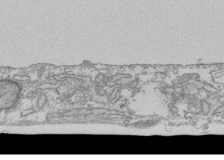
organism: Human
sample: Fibroblast cells